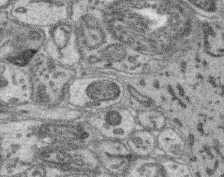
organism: Mouse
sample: Retina